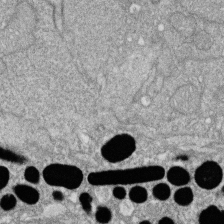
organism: Zebrafish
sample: Cilia; retinal pigment epithelium